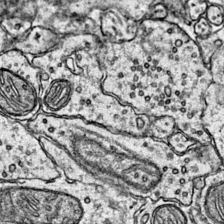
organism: Mouse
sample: Primary visual cortex